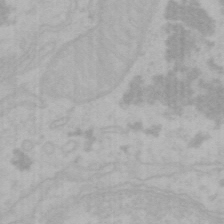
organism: Mouse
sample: Choroid plexus